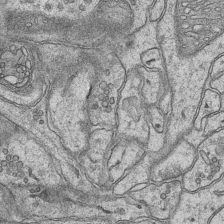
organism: Mouse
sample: CA1 Hippocampus